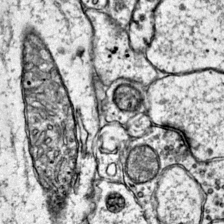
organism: Mouse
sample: Primary visual cortex